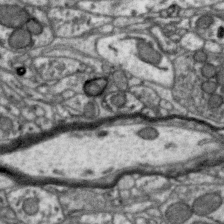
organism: Zebra finch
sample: Brain